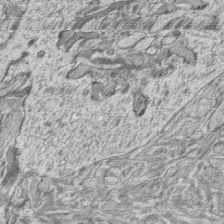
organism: Zebrafish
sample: synaptic ribbons in rod cells and cone cells